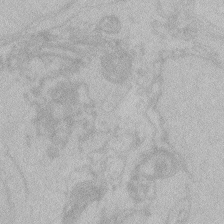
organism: Zebrafish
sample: Macrophage infected with Toxoplasma gondii